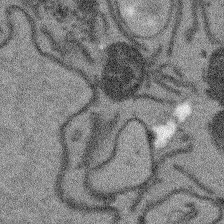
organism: Arabidopsis thaliana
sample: Root tip